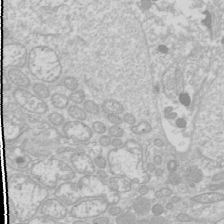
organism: Drosophila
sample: Cell division; meiosis; drosophila spermatocytes